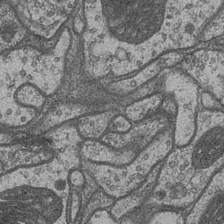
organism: Drosophila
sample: Optic medulla